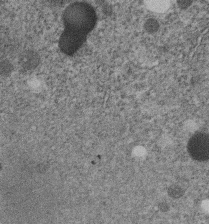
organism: C. elegans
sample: C. elegans embryo early stage